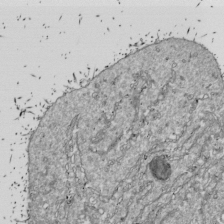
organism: Drosophila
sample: Cell division; meiosis; drosophila spermatocytes